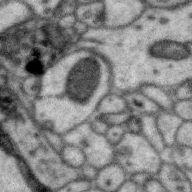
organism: Zebra finch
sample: Brain